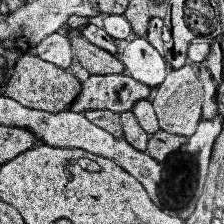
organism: Human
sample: Temporal Lobe